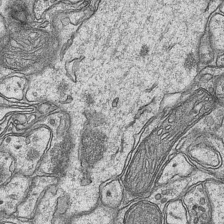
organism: Mouse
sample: CA1 Hippocampus